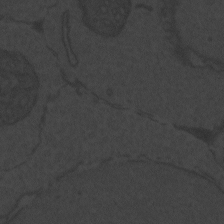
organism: Zebrafish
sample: Macrophage infected with Toxoplasma gondii